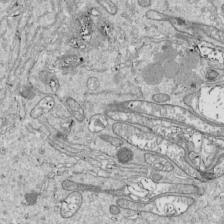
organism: Drosophila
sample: Cell division; meiosis; drosophila spermatocytes